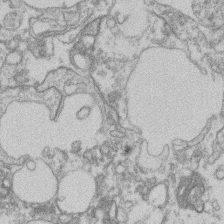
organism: Mouse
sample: T cell stromal cell synapse